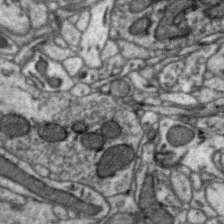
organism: Zebra finch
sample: Brain